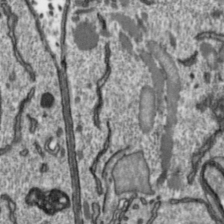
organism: Toxoplasma gondii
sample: Parasites in a vacuole inside a host cell